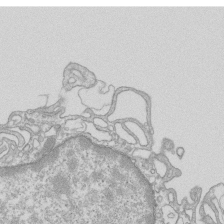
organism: Mouse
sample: Macrophages